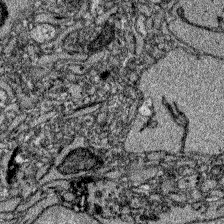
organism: Zebrafish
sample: Larval olfactory bulb